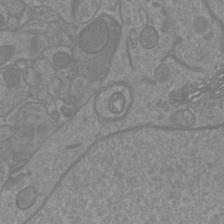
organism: Mouse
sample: Cortical neurons